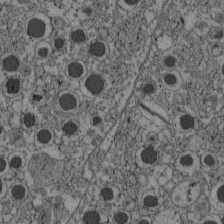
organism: C57BL Mouse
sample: Pancreatic islet